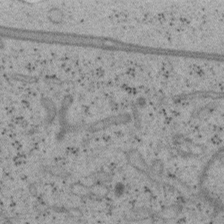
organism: Human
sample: HeLa cells